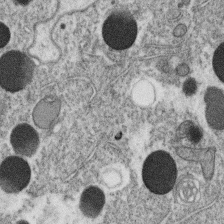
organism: C. elegans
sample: C. elegans oocyte; sperm cells